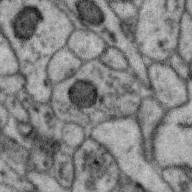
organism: Zebra finch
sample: Brain